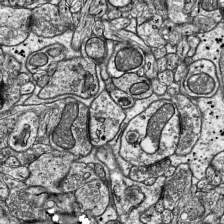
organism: Mouse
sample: Visual Cortex